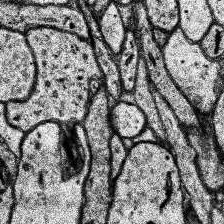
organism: Human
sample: Temporal Lobe